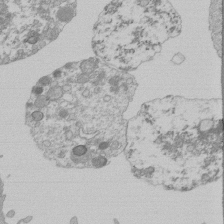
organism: Mouse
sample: Activated Pmel transgenic CD8+ T Cells